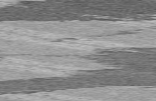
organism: C57BL Mouse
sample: Heart